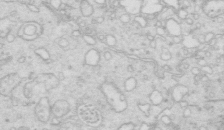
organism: Mouse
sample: Multiciliated cells